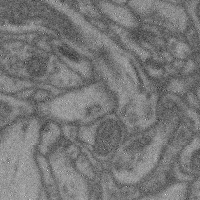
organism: Mouse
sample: Cerebral cortex